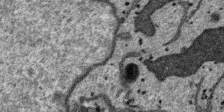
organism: Human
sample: Lung epithelial cells, uninfected (mock) control